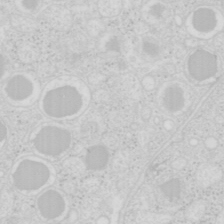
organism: Mouse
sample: Pancreas